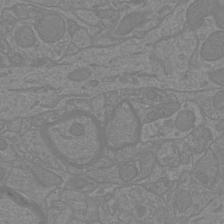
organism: Mouse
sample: Cortical neurons